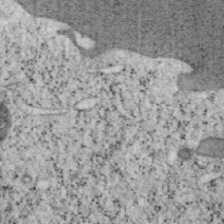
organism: Mouse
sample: OT-I killer T cells with ID8 ovarian cancer cells